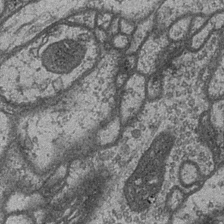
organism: Drosophila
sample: Optic medulla